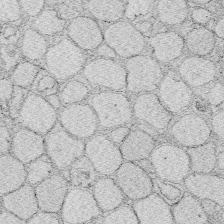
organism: Zebrafish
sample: Whole-Brain